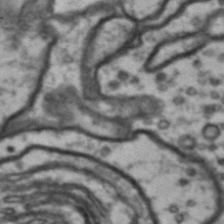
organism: Drosophila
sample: Brain